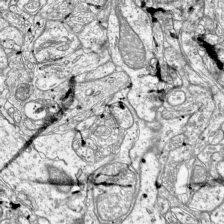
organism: Mouse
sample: Visual Cortex